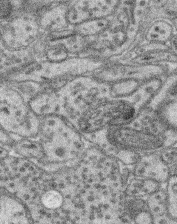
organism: Mouse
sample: Retina